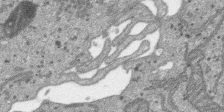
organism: Human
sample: Lung epithelial cells infected with SARS-CoV-2